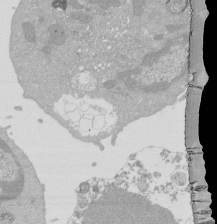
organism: Mouse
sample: Activated Pmel transgenic CD8+ T Cells